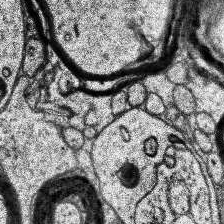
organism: Human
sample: Temporal Lobe